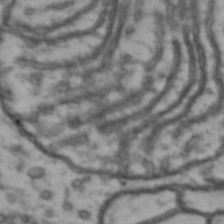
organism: Drosophila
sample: Brain